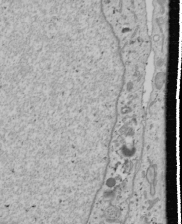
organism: Human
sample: Mitochondria in U2OS cells